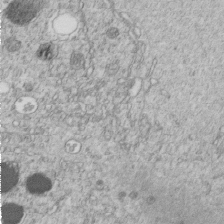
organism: C. elegans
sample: C. elegans embryo early stage